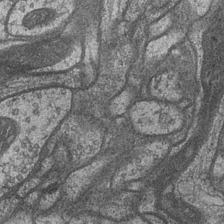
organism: Drosophila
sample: Optic medulla